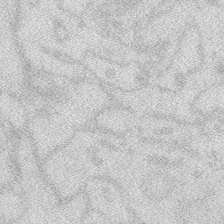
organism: Zebrafish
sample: Macrophage